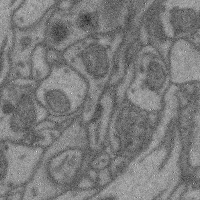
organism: Mouse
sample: Cerebral cortex